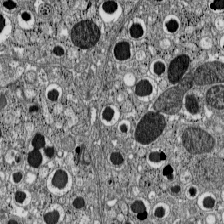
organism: C57BL Mouse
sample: Pancreatic islet